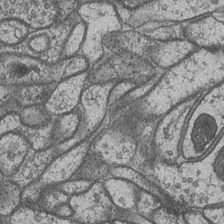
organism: Drosophila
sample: Optic medulla